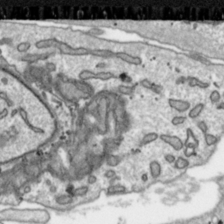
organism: Toxoplasma gondii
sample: Parasites in a vacuole inside a host cell